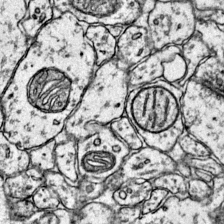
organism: Mouse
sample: Primary visual cortex